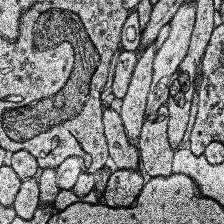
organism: Human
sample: Temporal Lobe